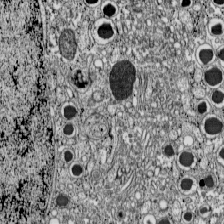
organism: C57BL Mouse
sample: Pancreatic islet